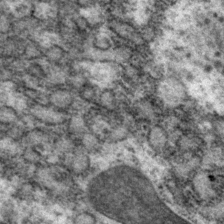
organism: P. pacificus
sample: Pharynx